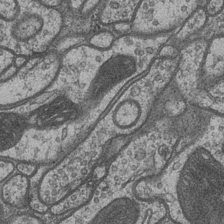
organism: Drosophila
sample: Optic medulla